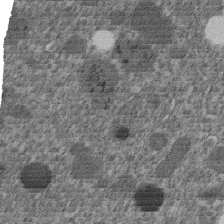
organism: C. elegans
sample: C. elegans embryo early stage